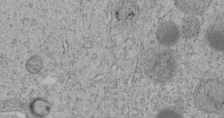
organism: C. elegans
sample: C. elegans embryo early stage